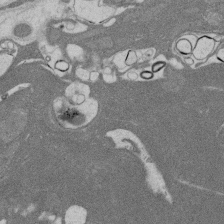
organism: Rat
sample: Salivary granule